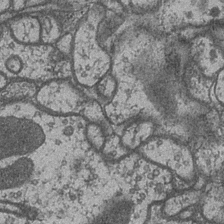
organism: Drosophila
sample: Optic medulla